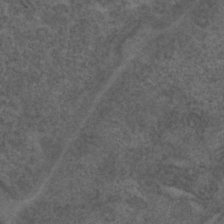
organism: C. elegans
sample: C. elegans embryo